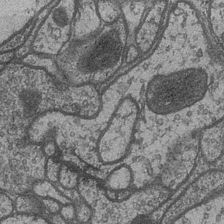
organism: Drosophila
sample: Optic medulla